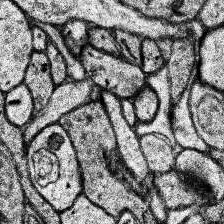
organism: Human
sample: Temporal Lobe